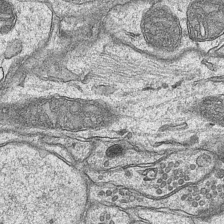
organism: Mouse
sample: CA1 Hippocampus